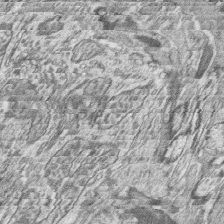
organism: Zebrafish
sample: synaptic ribbons in rod cells and cone cells